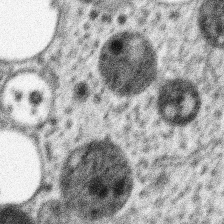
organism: Human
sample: HeLa cells